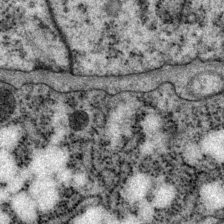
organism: P. pacificus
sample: Pharynx